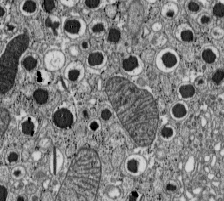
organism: C57BL Mouse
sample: Pancreatic islet